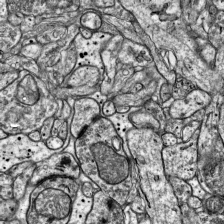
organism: Mouse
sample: Visual Cortex